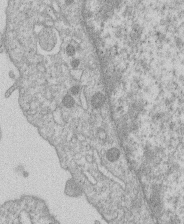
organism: Human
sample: Macrophage cells